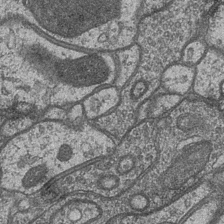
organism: Drosophila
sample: Optic medulla